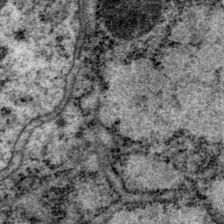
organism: P. pacificus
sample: Pharynx